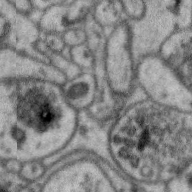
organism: Zebra finch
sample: Brain